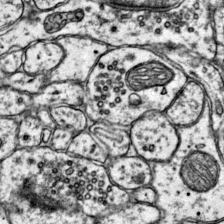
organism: Mouse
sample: Primary visual cortex